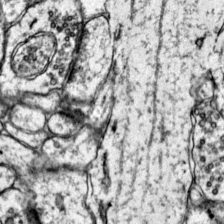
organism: Mouse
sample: Primary visual cortex